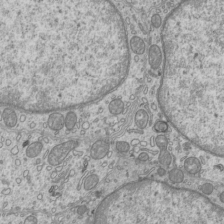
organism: Mouse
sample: Cilia; mouse epididymis